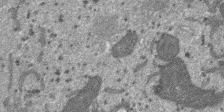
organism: Human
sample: Lung epithelial cells infected with SARS-CoV-2